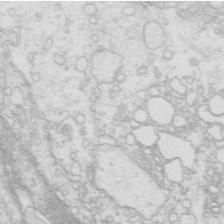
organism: Mouse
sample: Multiciliated cells